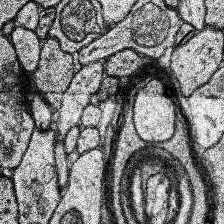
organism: Human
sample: Temporal Lobe